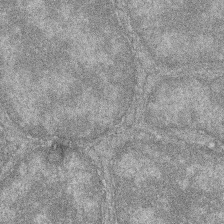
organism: Zebrafish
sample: Cilia; retinal pigment epithelium